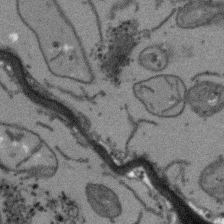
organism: Arabidopsis thaliana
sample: Root tip